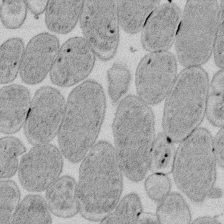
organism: E. coli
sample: Bacterial nucleoid